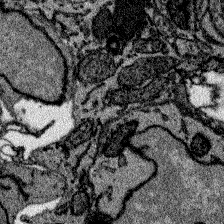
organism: Zebrafish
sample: Larval olfactory bulb